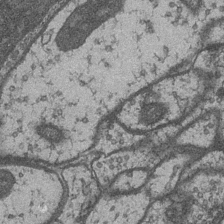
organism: Drosophila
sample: Optic medulla